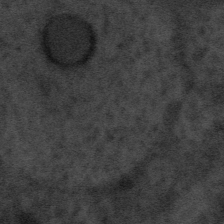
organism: Tuwongella immobilis